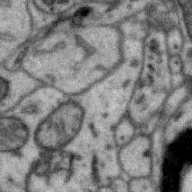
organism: Zebra finch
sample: Brain